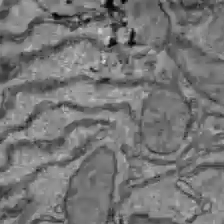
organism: C57BL Mouse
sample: Liver